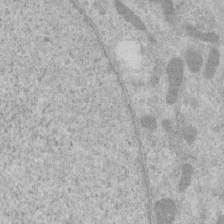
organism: Human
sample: Centriole in RPE cells